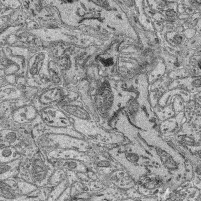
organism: Mouse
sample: Retina